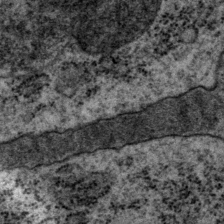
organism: P. pacificus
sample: Pharynx